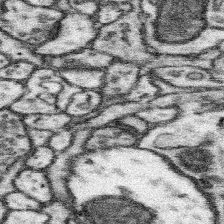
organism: Mouse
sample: Somatosensory cortex neuropil